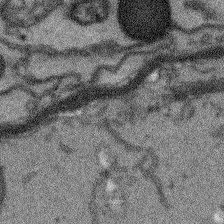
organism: Arabidopsis thaliana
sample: Root tip